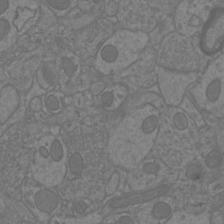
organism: Mouse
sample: Cortical neurons